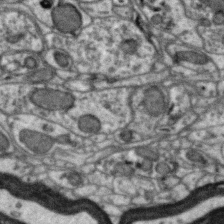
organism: Zebra finch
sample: Brain